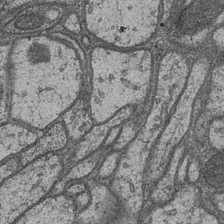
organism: Drosophila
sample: Optic medulla